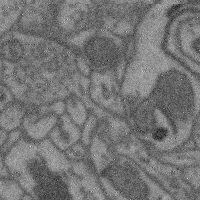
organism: Mouse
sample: Cerebral cortex